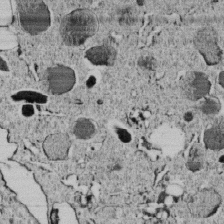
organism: C. elegans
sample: C. elegans embryo early stage